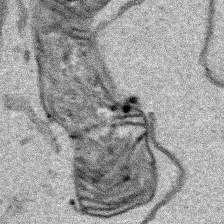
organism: Human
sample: Mitochondria in HCT116 cells